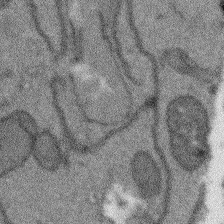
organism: Arabidopsis thaliana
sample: Root tip